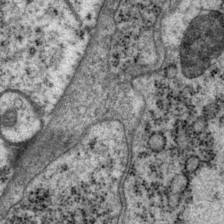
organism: P. pacificus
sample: Pharynx